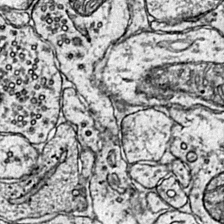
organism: Mouse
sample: Primary visual cortex